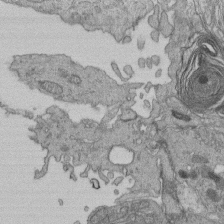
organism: Human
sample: Retinal organoid Rod and Cone cells